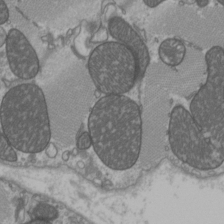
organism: C57BL Mouse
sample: Heart